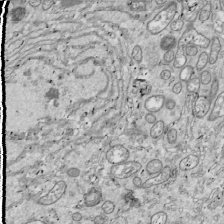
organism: Drosophila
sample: Cell division; meiosis; drosophila spermatocytes